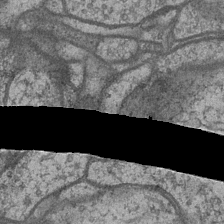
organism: Drosophila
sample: Optic medulla